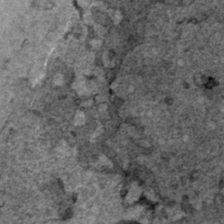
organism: Human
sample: Mitochondria in HCT116 cells